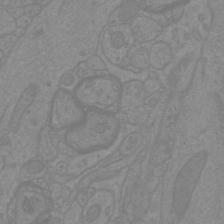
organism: Mouse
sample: Cortical neurons